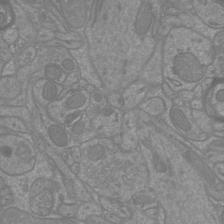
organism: Mouse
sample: Cortical neurons